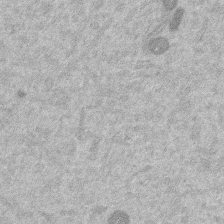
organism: Mouse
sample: Dividing mouse embryo 1 cell stage